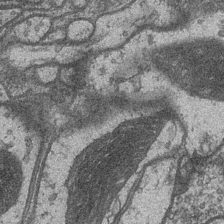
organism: Drosophila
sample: Optic medulla